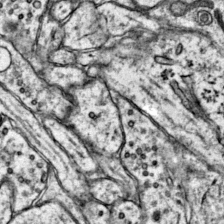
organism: Mouse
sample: Primary visual cortex